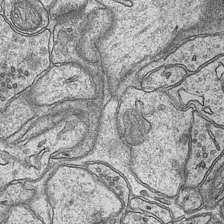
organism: Mouse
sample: CA1 Hippocampus